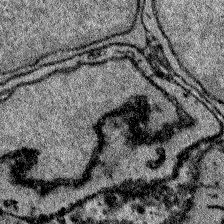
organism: Zebrafish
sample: Larval olfactory bulb